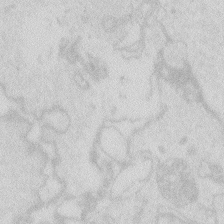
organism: Zebrafish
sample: Macrophage